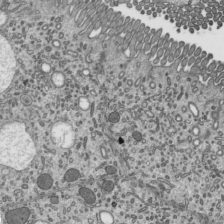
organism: Mouse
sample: Mouse epididymis efferent ductule cilia